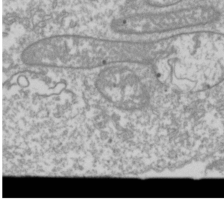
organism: Drosophila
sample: Cell division; meiosis; drosophila spermatocytes